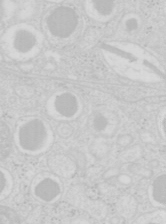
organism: Mouse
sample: Pancreas